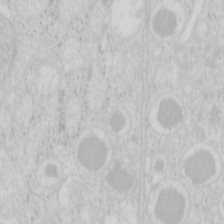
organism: Mouse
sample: Pancreas